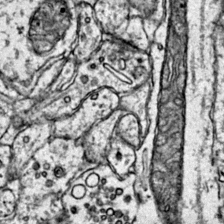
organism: Mouse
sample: Primary visual cortex